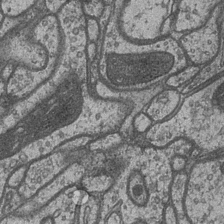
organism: Drosophila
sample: Optic medulla